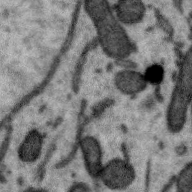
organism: Zebra finch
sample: Brain